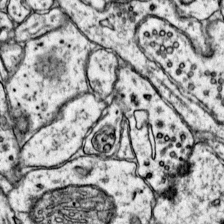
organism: Mouse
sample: Primary visual cortex